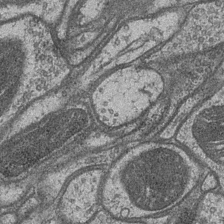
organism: Drosophila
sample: Optic medulla